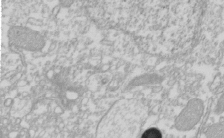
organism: Xenopus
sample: Cilia; centrioles in frog embryo cells